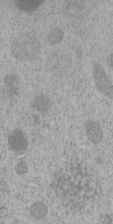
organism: C. elegans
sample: C. elegans embryo early stage